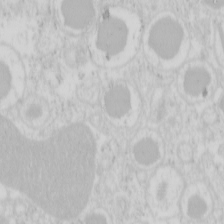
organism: Mouse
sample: Pancreas